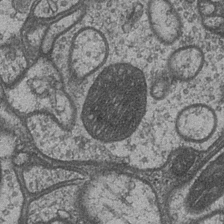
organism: Drosophila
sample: Optic medulla